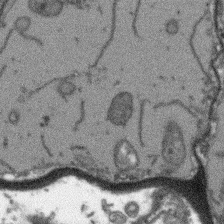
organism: Arabidopsis thaliana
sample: Root tip